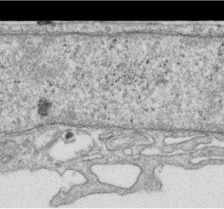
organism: Human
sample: Centriole in RPE cells